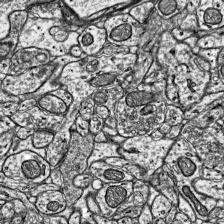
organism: Mouse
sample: Visual Cortex